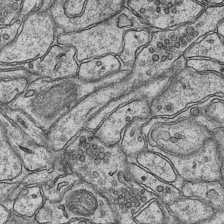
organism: Mouse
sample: CA1 Hippocampus